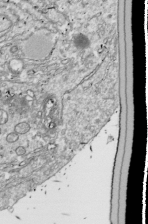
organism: Drosophila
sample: Cell division; meiosis; drosophila spermatocytes